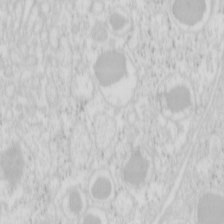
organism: Mouse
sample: Pancreas